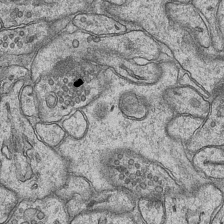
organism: Mouse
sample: CA1 Hippocampus